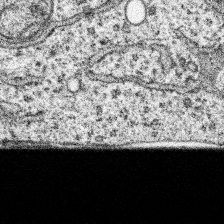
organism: Human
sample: HeLa cells